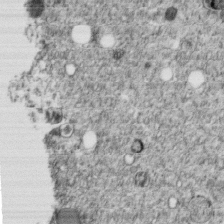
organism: C. elegans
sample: C. elegans embryo early stage